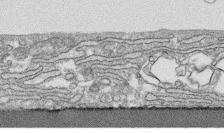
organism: Human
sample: CRL-1474